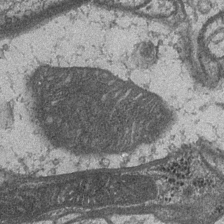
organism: Drosophila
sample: Optic medulla